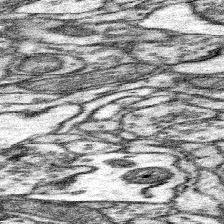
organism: Mouse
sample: Somatosensory cortex neuropil